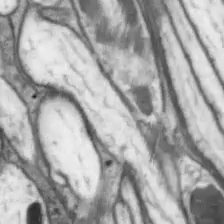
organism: Drosophila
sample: Optic lobe